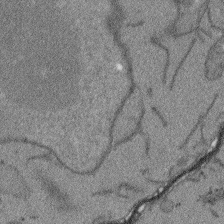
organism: Arabidopsis thaliana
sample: Root tip